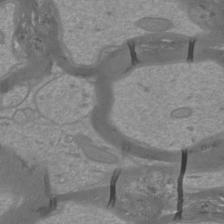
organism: Mouse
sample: Cortical neurons